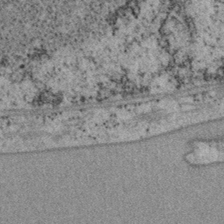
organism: Human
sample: HeLa cells